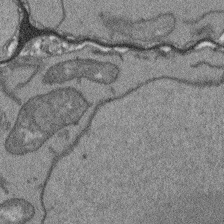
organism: Arabidopsis thaliana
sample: Root tip